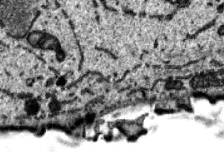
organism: Human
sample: HeLa cells